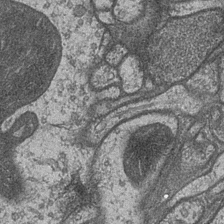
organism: Drosophila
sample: Optic medulla